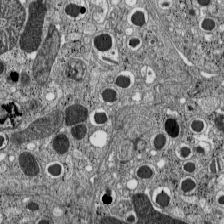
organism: C57BL Mouse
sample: Pancreatic islet